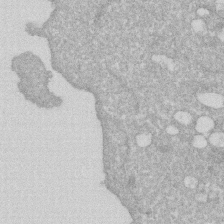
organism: Human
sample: HIV infected U937 cells